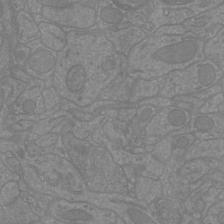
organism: Mouse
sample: Cortical neurons